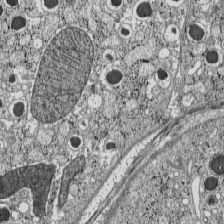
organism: C57BL Mouse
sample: Pancreatic islet